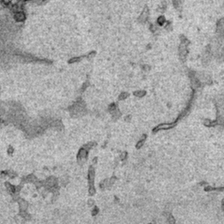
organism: Human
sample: Mitochondria in HCT116 cells